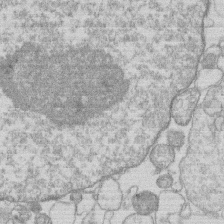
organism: Human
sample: Macrophage cells